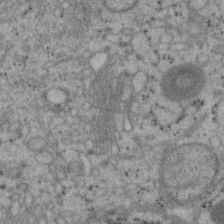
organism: Human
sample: HeLa cells